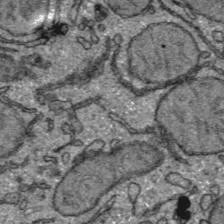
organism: C57BL Mouse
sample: Liver